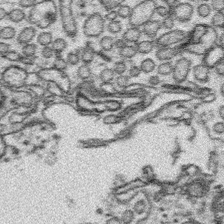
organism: Platynereis dumerilii